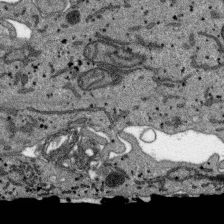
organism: Human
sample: Lung epithelial cells, uninfected (mock) control